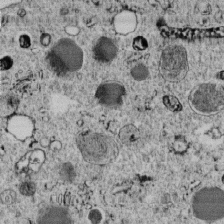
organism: C. elegans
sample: C. elegans embryo early stage